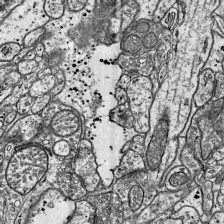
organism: Mouse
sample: Visual Cortex